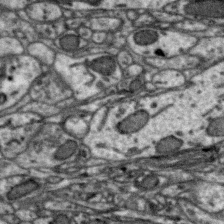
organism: Zebra finch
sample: Brain